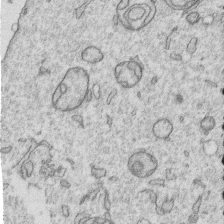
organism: Human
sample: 1205lu cells